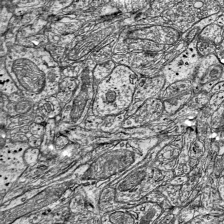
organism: Mouse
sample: Visual Cortex